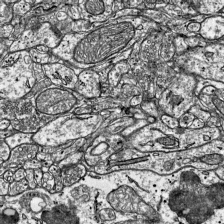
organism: Mouse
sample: Visual Cortex